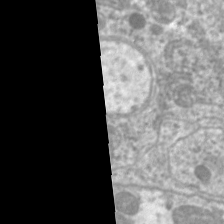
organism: C. elegans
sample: Pharynx